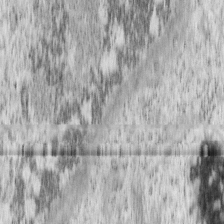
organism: Human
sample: HeLa cells